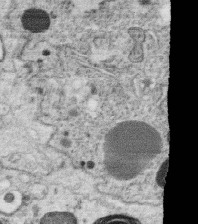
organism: C. elegans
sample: C. elegans oocyte; sperm cells